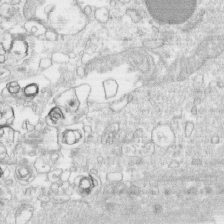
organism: Human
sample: CRL-1474